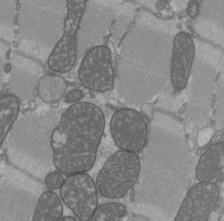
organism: C57BL Mouse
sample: Heart